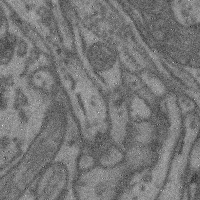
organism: Mouse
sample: Cerebral cortex